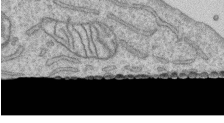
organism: Human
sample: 1205lu cells